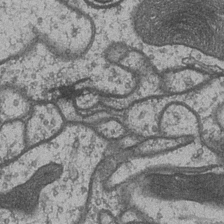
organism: Drosophila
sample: Optic medulla